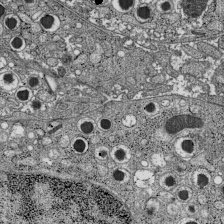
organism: C57BL Mouse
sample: Pancreatic islet